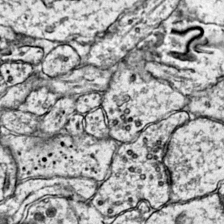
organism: Mouse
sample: Primary visual cortex